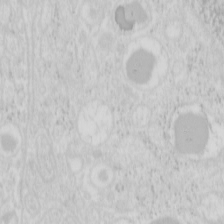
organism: Mouse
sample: Pancreas